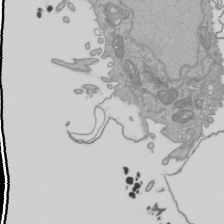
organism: Human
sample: Mitochondria in HCT116 cells